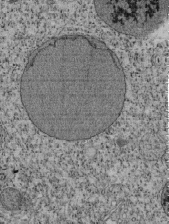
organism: Tetrahymena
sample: Cilia in tetrahymena